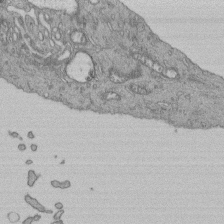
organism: Human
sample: Retinal organoid Rod and Cone cells